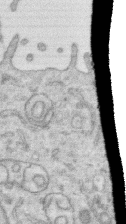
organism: Human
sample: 1205lu cells